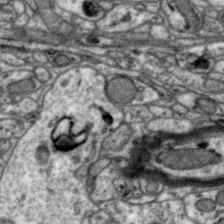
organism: Zebra finch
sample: Brain